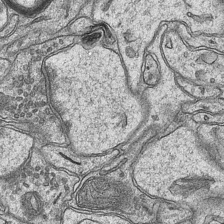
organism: Mouse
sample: CA1 Hippocampus